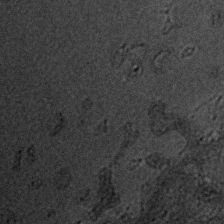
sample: Trachea